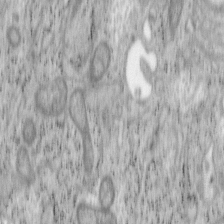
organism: Human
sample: HeLa cells